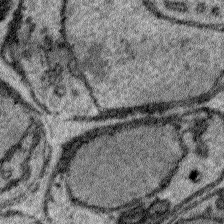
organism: Plasmodium falciparum